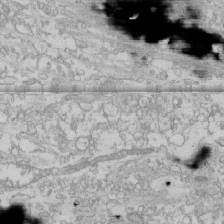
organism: Human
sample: CRL-1474